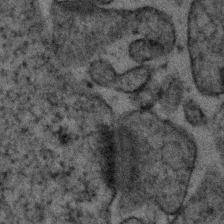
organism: Human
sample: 1205lu cells